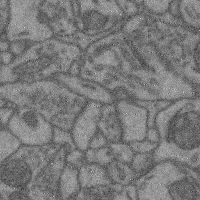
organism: Mouse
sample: Cerebral cortex